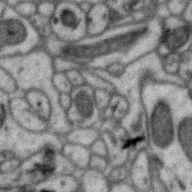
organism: Zebra finch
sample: Brain